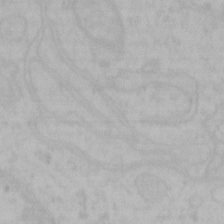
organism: Mouse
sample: Choroid plexus